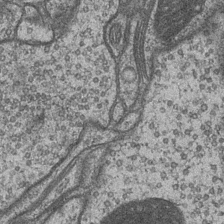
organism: Drosophila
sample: Optic medulla